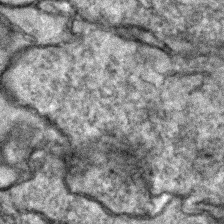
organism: Zebrafish